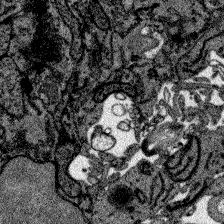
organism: Zebrafish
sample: Larval olfactory bulb